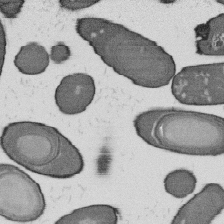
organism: B. subtilis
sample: Bacterial spore